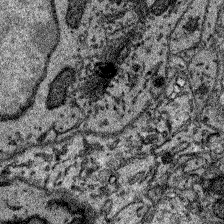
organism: Zebrafish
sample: Larval olfactory bulb